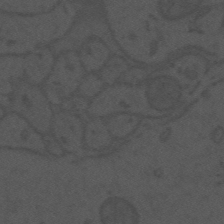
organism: Mouse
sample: Suprachiasmatic nucleus